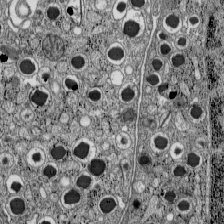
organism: C57BL Mouse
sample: Pancreatic islet